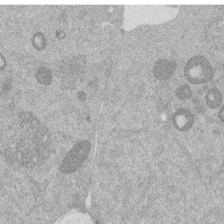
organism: Mouse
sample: Dividing mouse embryo 1 cell stage